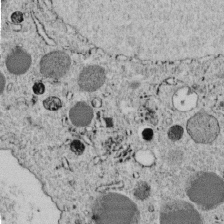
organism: C. elegans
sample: C. elegans embryo early stage